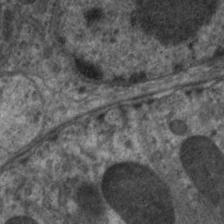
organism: C. elegans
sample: Pharynx